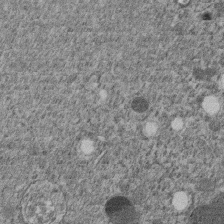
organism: C. elegans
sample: C. elegans embryo early stage